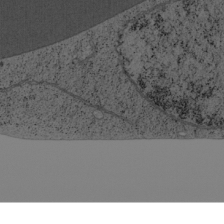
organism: African green monkey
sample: COS-7 cells